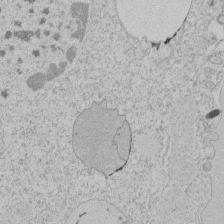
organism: Tetrahymena